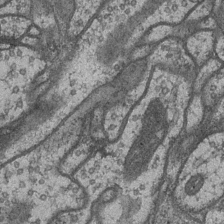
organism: Drosophila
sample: Optic medulla